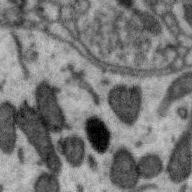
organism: Zebra finch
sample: Brain